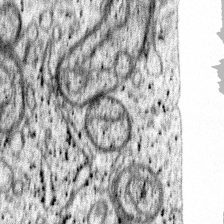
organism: Human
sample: HeLa cells